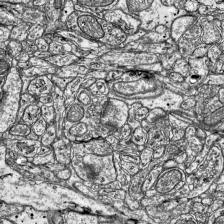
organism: Mouse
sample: Visual Cortex